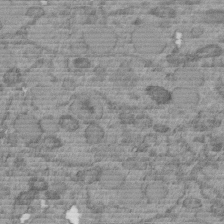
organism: C. elegans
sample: C. elegans embryo early stage